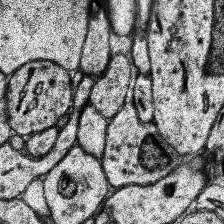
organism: Human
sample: Temporal Lobe